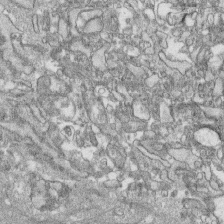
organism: Human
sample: CRL-1474